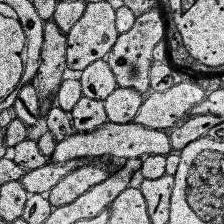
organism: Human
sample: Temporal Lobe